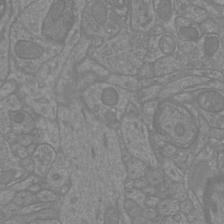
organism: Mouse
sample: Cortical neurons